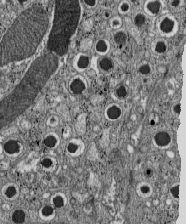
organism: C57BL Mouse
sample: Pancreatic islet